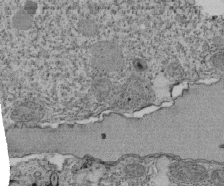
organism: Tetrahymena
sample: Cilia in tetrahymena